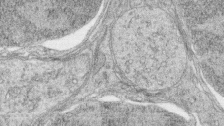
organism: Zebrafish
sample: synaptic ribbons in rod cells and cone cells